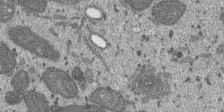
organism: Human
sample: Lung epithelial cells infected with SARS-CoV-2